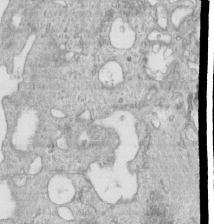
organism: Human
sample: Centriole in RPE cells